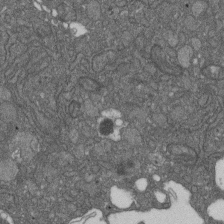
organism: Drosophila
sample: Nephrocyte